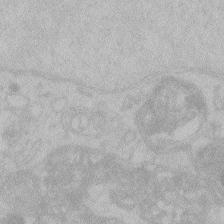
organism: Zebrafish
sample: Macrophage infected with Toxoplasma gondii